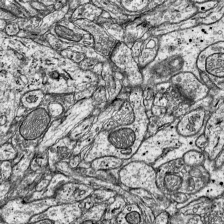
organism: Mouse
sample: Visual Cortex